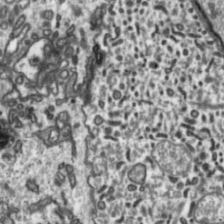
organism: Toxoplasma gondii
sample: Parasites in a vacuole inside a host cell